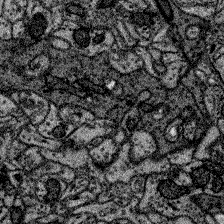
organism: Zebrafish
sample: Larval olfactory bulb